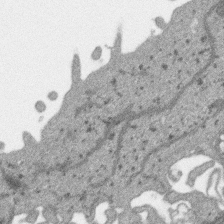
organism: Human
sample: Lung epithelial cells infected with SARS-CoV-2